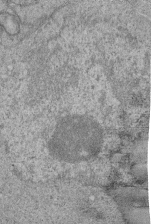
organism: Human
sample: Retinal organoid Rod and Cone cells